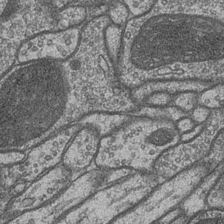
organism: Drosophila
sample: Optic medulla